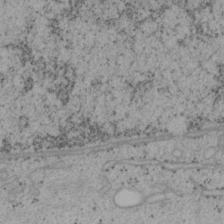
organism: Human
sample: HeLa cells